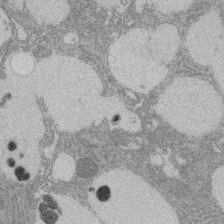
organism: Rat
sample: Salivary granule